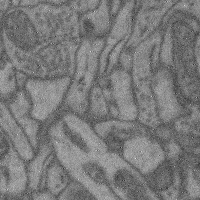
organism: Mouse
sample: Cerebral cortex